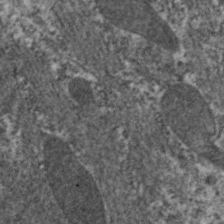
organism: C. elegans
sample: Pharynx